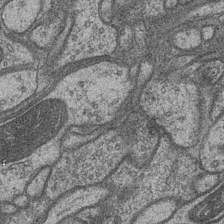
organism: Drosophila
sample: Optic medulla